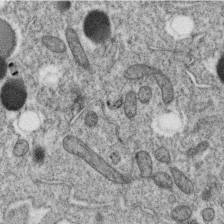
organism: C. elegans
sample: C. elegans oocyte; sperm cells